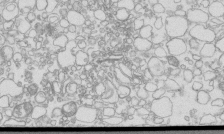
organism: Mouse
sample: Macrophages